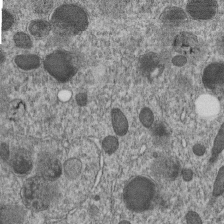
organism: C. elegans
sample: C. elegans embryo early stage